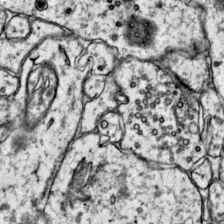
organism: Mouse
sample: Primary visual cortex